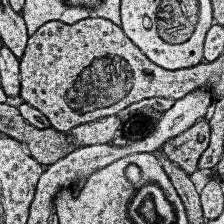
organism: Human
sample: Temporal Lobe